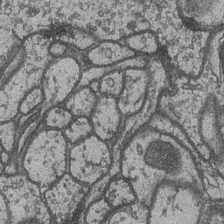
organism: Drosophila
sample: Optic medulla